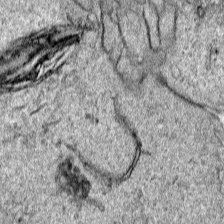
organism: Human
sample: Mitochondria in HCT116 cells